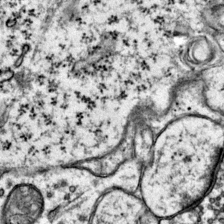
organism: Mouse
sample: Primary visual cortex